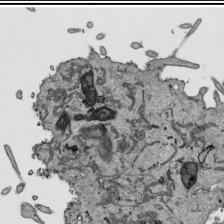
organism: Human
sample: Mitochondria in HCT116 cells